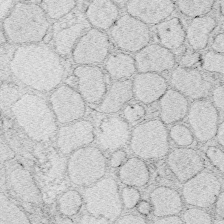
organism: Zebrafish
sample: Whole-Brain